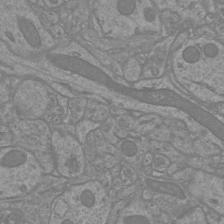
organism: Mouse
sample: Cortical neurons